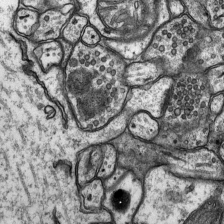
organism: Rat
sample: Hippocampus